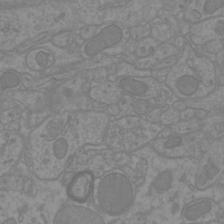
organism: Mouse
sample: Cortical neurons